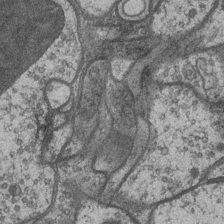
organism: Drosophila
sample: Optic medulla